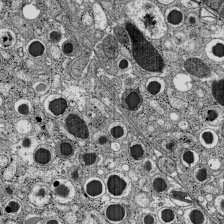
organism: C57BL Mouse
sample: Pancreatic islet